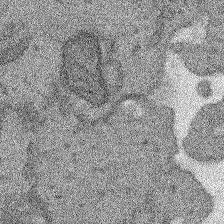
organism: Human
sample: HeLa cells